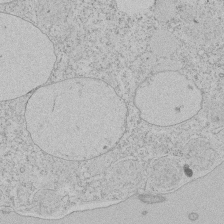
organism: Tetrahymena